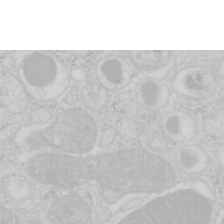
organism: Mouse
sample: Pancreas